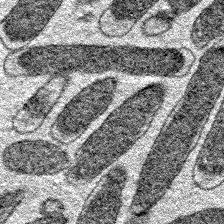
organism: E. coli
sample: E. Coli Bacteria